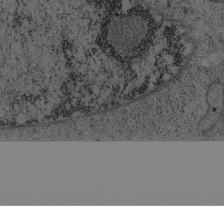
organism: African green monkey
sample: COS-7 cells